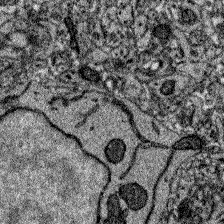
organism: Zebrafish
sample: Larval olfactory bulb